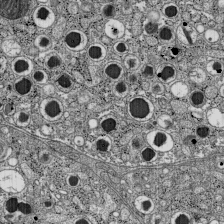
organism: C57BL Mouse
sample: Pancreatic islet